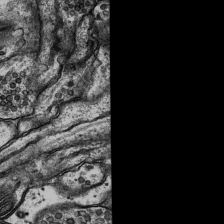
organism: Rat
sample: Hippocampus